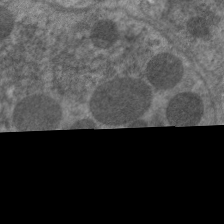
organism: C. elegans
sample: Pharynx